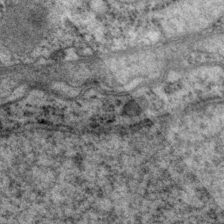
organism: P. pacificus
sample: Pharynx